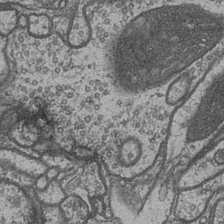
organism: Drosophila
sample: Optic medulla